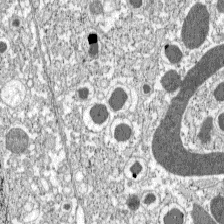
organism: C57BL Mouse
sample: Pancreatic islet